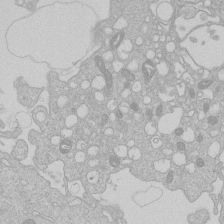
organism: Human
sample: Macrophage cells